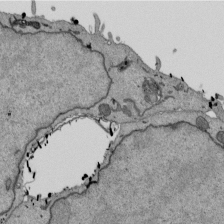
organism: Mouse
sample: ED-1 cell nuclei; centrioles